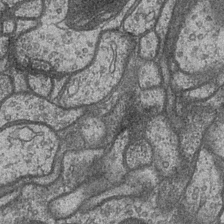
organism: Drosophila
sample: Optic medulla